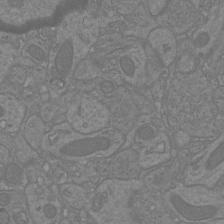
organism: Mouse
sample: Cortical neurons